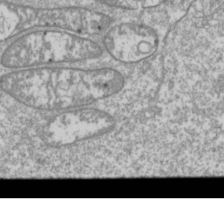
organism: Drosophila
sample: Cell division; meiosis; drosophila spermatocytes